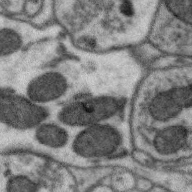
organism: Zebra finch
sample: Brain